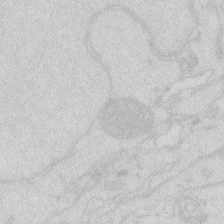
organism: Zebrafish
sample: Macrophage